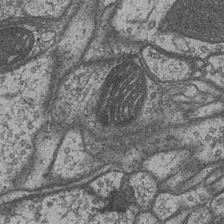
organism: Drosophila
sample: Optic medulla